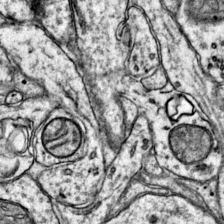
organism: Mouse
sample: Primary visual cortex